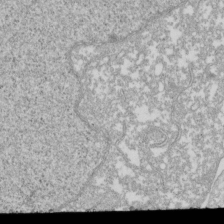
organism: Xenopus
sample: Cilia; centrioles in frog embryo cells